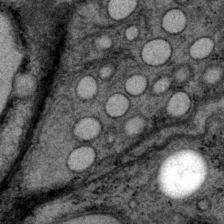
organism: P. pacificus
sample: Pharynx